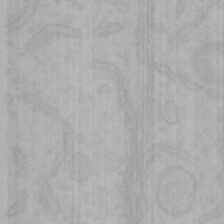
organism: Mouse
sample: Choroid plexus